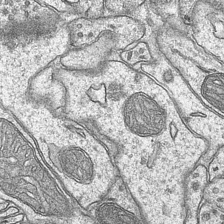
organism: Mouse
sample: CA1 Hippocampus